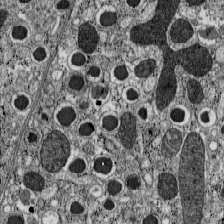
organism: C57BL Mouse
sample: Pancreatic islet